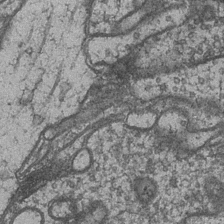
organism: Drosophila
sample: Optic medulla